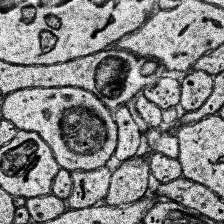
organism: Human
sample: Temporal Lobe